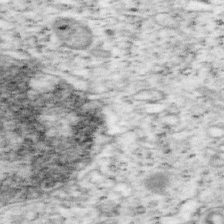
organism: Mouse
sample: OT-I killer T cells with ID8 ovarian cancer cells